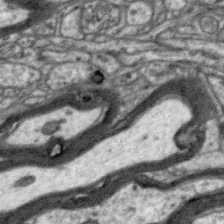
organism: Zebra finch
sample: Brain